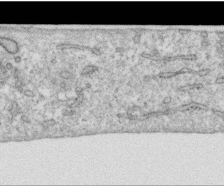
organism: Human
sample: Centriole in RPE cells